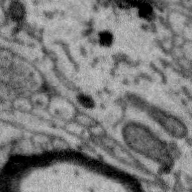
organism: Zebra finch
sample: Brain